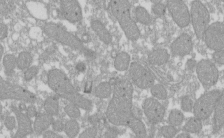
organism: Xenopus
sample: Cilia; centrioles in frog embryo cells